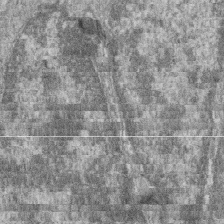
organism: Zebrafish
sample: Cilia; retinal pigment epithelium